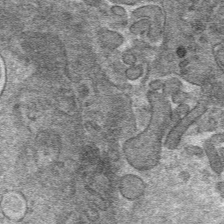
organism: Mouse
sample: Mouse hepatocytes